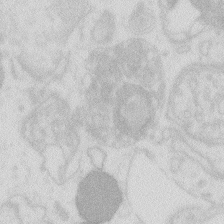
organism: Zebrafish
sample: Macrophage